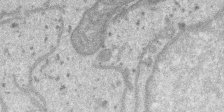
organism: Human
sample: Lung epithelial cells infected with SARS-CoV-2